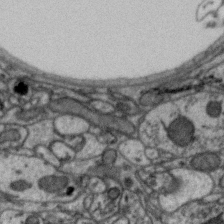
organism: Zebra finch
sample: Brain